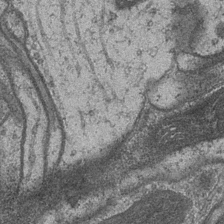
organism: Drosophila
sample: Optic medulla